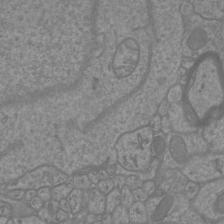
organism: Mouse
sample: Cortical neurons